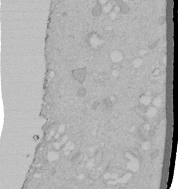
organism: Human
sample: Melanocyte Keratinocyte synapse skin construct